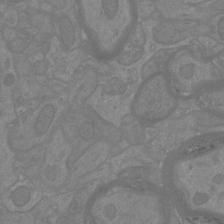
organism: Mouse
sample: Cortical neurons